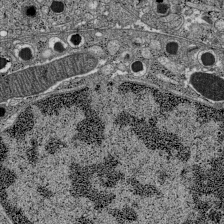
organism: C57BL Mouse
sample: Pancreatic islet